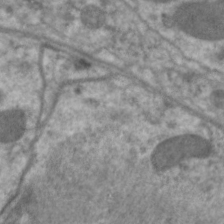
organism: C. elegans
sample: Pharynx